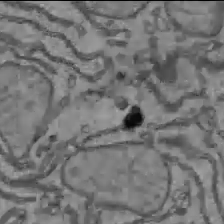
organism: C57BL Mouse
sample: Liver